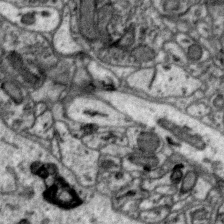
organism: Zebra finch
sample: Brain